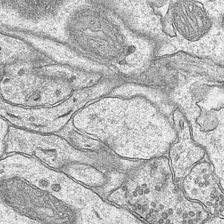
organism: Mouse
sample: CA1 Hippocampus